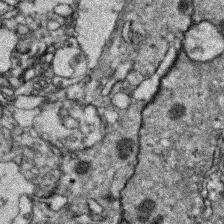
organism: Zebrafish